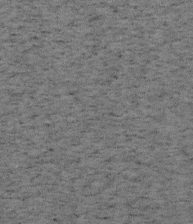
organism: Mouse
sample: OT-I killer T cells with ID8 ovarian cancer cells